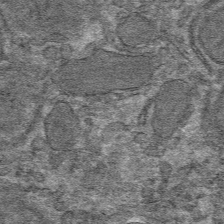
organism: Mouse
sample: Mouse hepatocytes